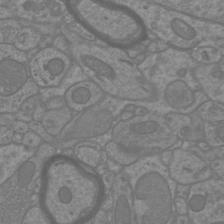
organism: Mouse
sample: Cortical neurons